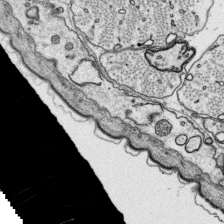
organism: Platynereis dumerilii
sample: Parapodia